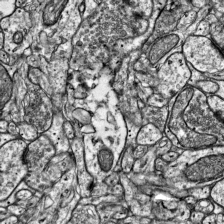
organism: Mouse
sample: Visual Cortex